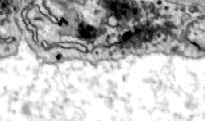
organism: Zebrafish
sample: Actinotrichia fibers